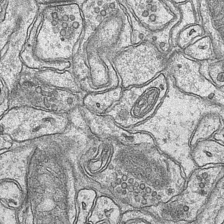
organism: Mouse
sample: CA1 Hippocampus